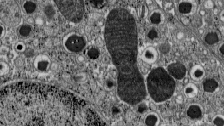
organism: C57BL Mouse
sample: Pancreatic islet